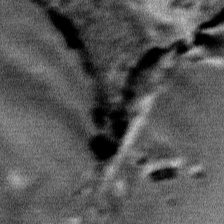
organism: Mouse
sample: Mouse Salivary gland